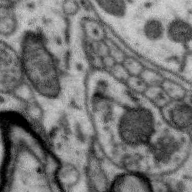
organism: Zebra finch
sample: Brain